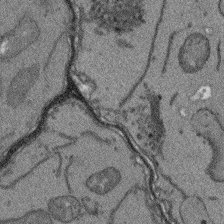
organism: Arabidopsis thaliana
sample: Root tip